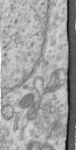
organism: Human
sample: Centriole in RPE cells